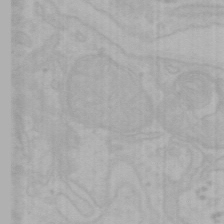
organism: Mouse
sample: Choroid plexus